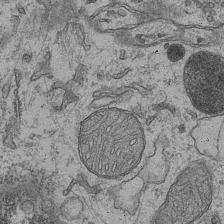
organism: Mouse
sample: CA1 Hippocampus